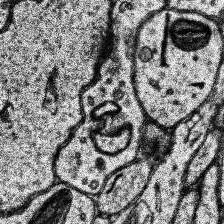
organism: Human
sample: Temporal Lobe